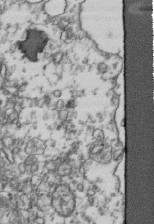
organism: Human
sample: Activated Jurkat CD4+ T cells